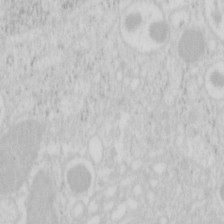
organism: Mouse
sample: Pancreas